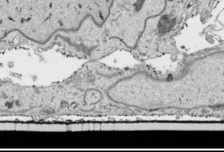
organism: Human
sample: Mitochondria in HCT116 cells